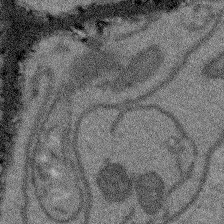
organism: Arabidopsis thaliana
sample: Root tip